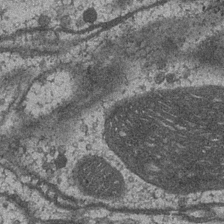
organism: Drosophila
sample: Optic medulla